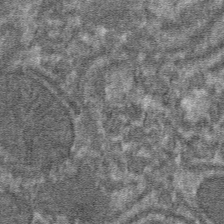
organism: Mouse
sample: Mouse hepatocytes